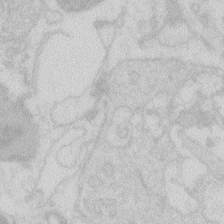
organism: Zebrafish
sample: Macrophage